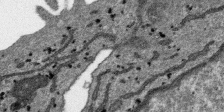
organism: Human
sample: Lung epithelial cells, uninfected (mock) control